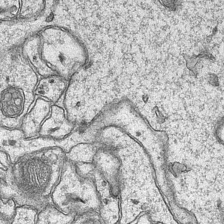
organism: Mouse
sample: CA1 Hippocampus